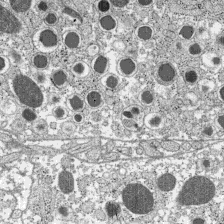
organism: C57BL Mouse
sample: Pancreatic islet